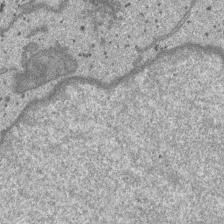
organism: Human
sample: Lung epithelial cells infected with SARS-CoV-2